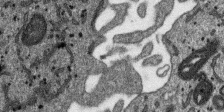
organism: Human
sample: Lung epithelial cells infected with SARS-CoV-2